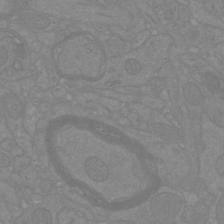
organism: Mouse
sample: Cortical neurons